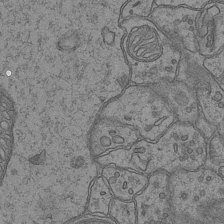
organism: Mouse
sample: CA1 Hippocampus